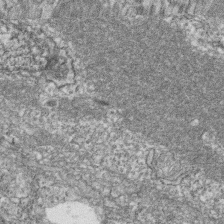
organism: Zebrafish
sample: Cilia; retinal pigment epithelium